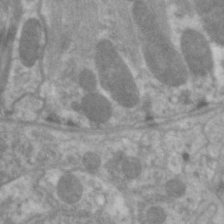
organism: C. elegans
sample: Pharynx